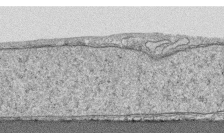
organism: Human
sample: CRL-1474